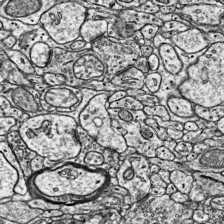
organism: Mouse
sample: Visual Cortex